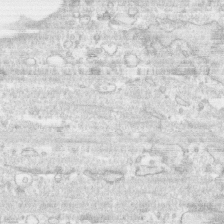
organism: Human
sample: CRL-1474